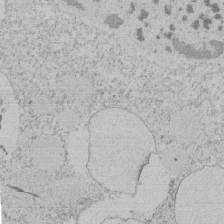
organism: Tetrahymena